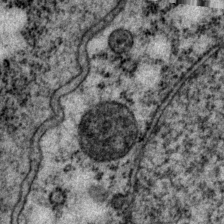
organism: P. pacificus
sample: Pharynx